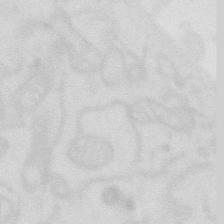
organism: Human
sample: HeLa cells